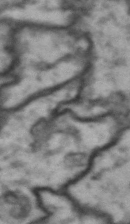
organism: Drosophila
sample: Brain